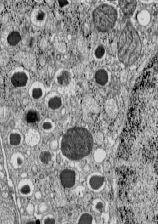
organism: C57BL Mouse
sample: Pancreatic islet